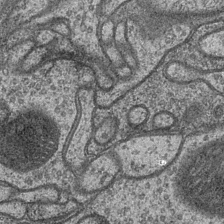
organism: Drosophila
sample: Optic medulla